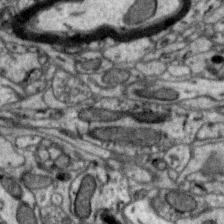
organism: Zebra finch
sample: Brain